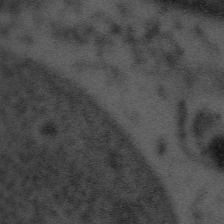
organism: Tuwongella immobilis